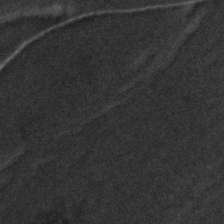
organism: Zebrafish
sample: Zebrafish embryo